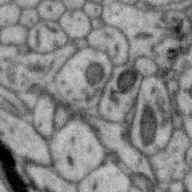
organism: Zebra finch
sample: Brain